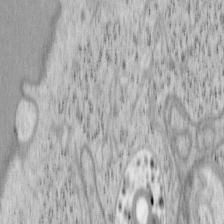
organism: Human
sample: HeLa cells